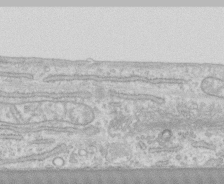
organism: Human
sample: CRL-1474